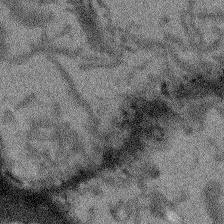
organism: Arabidopsis thaliana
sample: Root tip